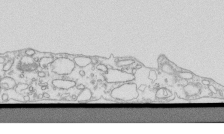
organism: Mouse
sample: Macrophages